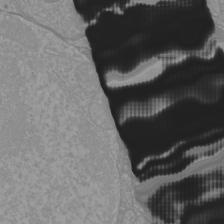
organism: Mouse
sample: Cortical neurons